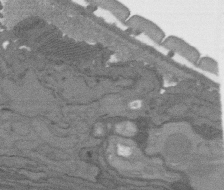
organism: C. elegans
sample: AFD neurons C. elegans